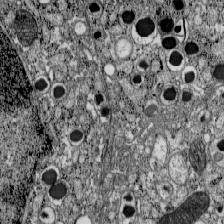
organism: C57BL Mouse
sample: Pancreatic islet